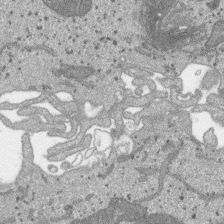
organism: Human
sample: Lung epithelial cells infected with SARS-CoV-2